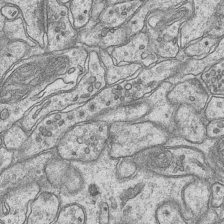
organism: Mouse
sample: CA1 Hippocampus